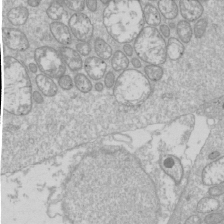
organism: Drosophila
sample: Cell division; meiosis; drosophila spermatocytes